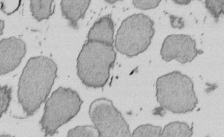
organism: E. coli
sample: Bacterial nucleoid